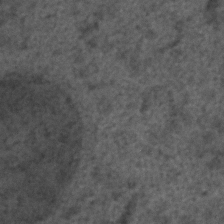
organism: C. elegans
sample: C. elegans embryo